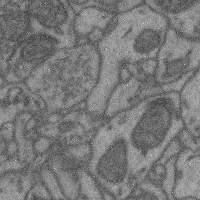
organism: Mouse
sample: Cerebral cortex